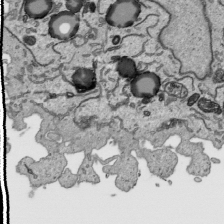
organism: Human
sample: Mitochondria in HCT116 cells